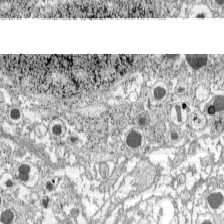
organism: C57BL Mouse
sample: Pancreatic islet